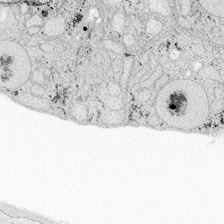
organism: Zebrafish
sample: Whole-Brain